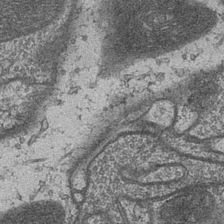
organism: Drosophila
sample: Optic medulla